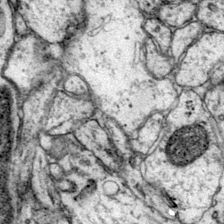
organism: Mouse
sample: Primary visual cortex